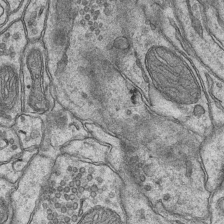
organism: Mouse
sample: CA1 Hippocampus